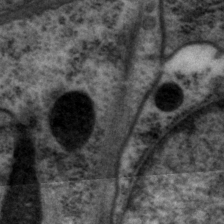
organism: P. pacificus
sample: Pharynx